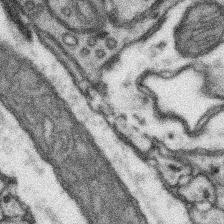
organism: Mouse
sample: Somatosensory cortex neuropil